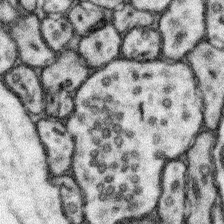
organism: Mouse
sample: Somatosensory cortex neuropil